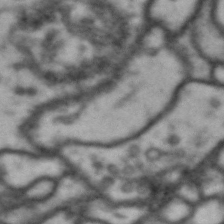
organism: Drosophila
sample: Brain